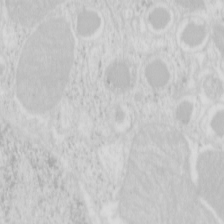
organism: Mouse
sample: Pancreas